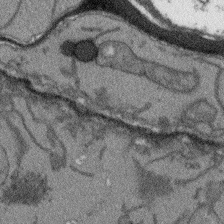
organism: Arabidopsis thaliana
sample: Root tip